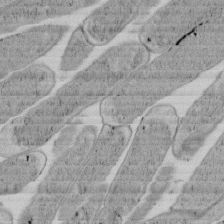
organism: E. coli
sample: Bacterial nucleoid